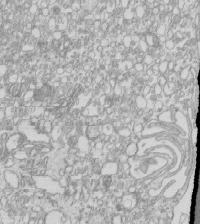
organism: Mouse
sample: Macrophages